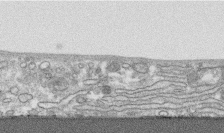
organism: Human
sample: CRL-1474